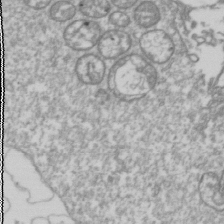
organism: Drosophila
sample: Cell division; meiosis; drosophila spermatocytes